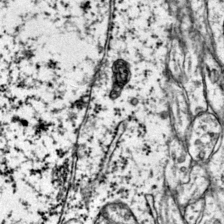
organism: Mouse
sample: Primary visual cortex